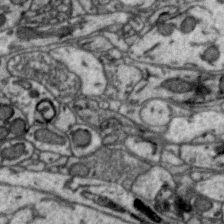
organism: Zebra finch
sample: Brain